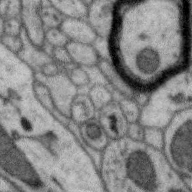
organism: Zebra finch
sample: Brain